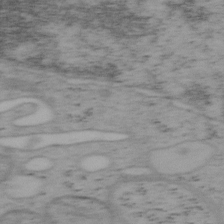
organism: Mouse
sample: OT-I killer T cells with ID8 ovarian cancer cells